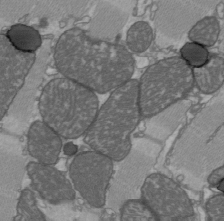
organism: C57BL Mouse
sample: Heart